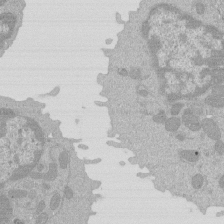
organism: Mouse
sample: Activated Pmel transgenic CD8+ T Cells